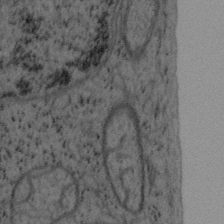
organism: Human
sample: HeLa cells